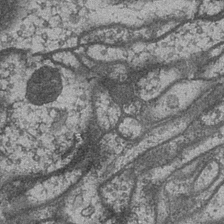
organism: Drosophila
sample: Optic medulla